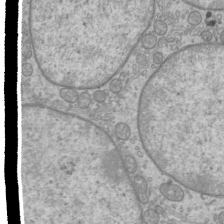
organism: Mouse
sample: Cilia; mouse epididymis